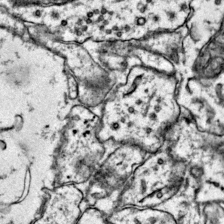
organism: Mouse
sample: Primary visual cortex